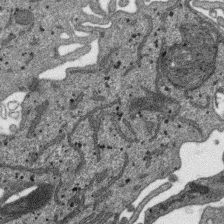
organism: Human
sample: Lung epithelial cells infected with SARS-CoV-2